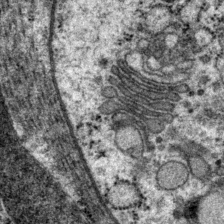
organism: P. pacificus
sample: Pharynx